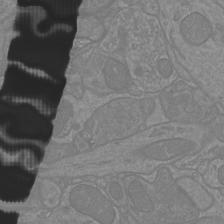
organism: Mouse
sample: Cortical neurons